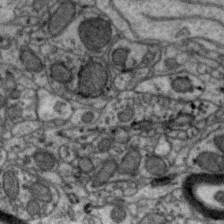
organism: Zebra finch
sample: Brain